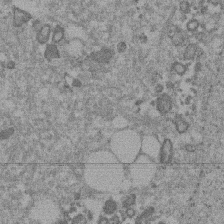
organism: Mouse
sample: Dividing mouse embryo 1 cell stage